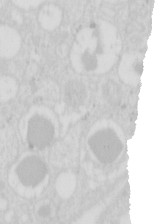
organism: Mouse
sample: Pancreas